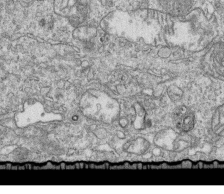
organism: Human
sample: HeLa cell HIV synapse